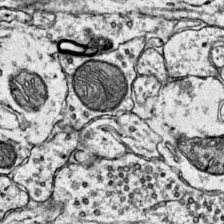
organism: Mouse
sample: Primary visual cortex